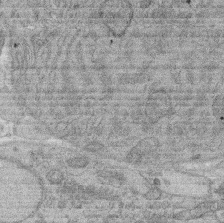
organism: Rat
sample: Salivary granule